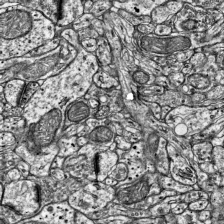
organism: Mouse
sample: Visual Cortex